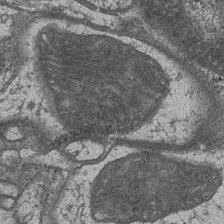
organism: Drosophila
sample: Optic medulla